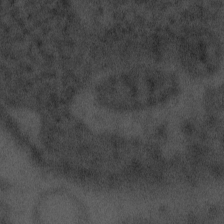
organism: Tuwongella immobilis